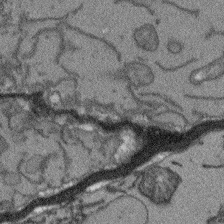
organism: Arabidopsis thaliana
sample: Root tip